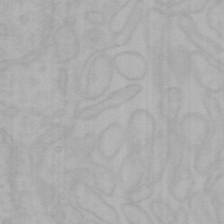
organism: Mouse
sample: Choroid plexus